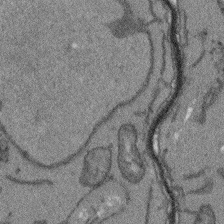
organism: Arabidopsis thaliana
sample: Root tip